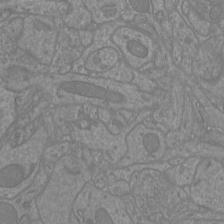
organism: Mouse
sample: Cortical neurons